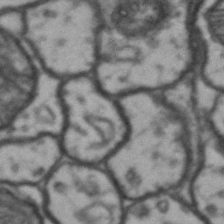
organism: Drosophila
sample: Brain